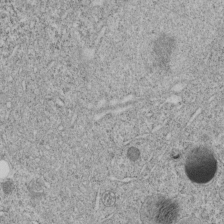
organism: C. elegans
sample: C. elegans embryo early stage